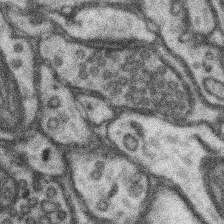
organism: Mouse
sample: Somatosensory cortex neuropil